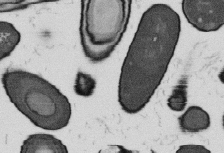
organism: B. subtilis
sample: Bacterial spore